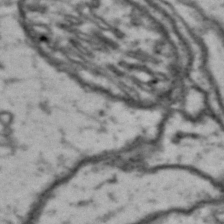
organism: Drosophila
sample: Brain